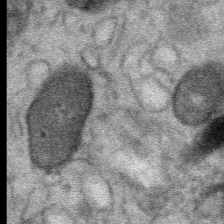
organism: Mouse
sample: Mouse Salivary gland